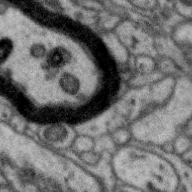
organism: Zebra finch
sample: Brain